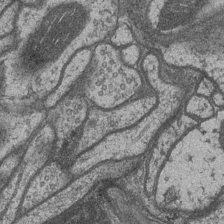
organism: Drosophila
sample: Optic medulla